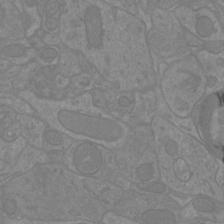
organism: Mouse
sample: Cortical neurons